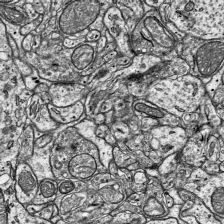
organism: Mouse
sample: Visual Cortex